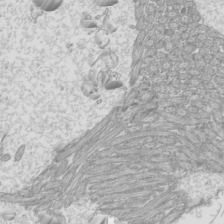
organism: Mouse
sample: Cilia; mouse epididymis